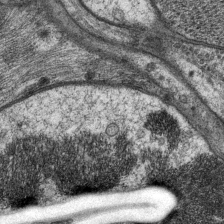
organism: P. pacificus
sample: Pharynx